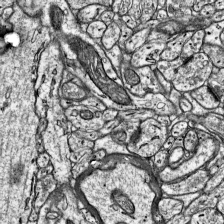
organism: Mouse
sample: Visual Cortex